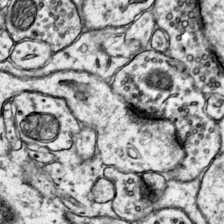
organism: Mouse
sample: Primary visual cortex